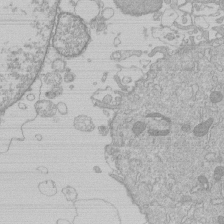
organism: Human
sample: Macrophage cells